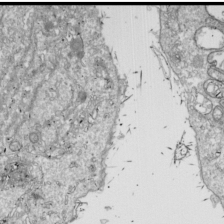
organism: Drosophila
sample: Cell division; meiosis; drosophila spermatocytes